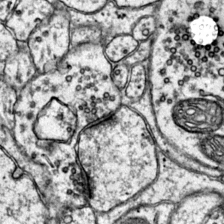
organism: Mouse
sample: Primary visual cortex